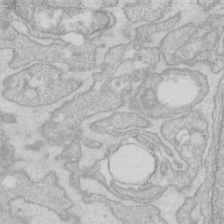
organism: Human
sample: Fibroblast cells